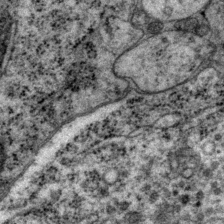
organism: P. pacificus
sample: Pharynx